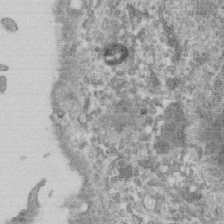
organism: Human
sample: Centriole in RPE cells